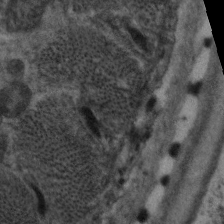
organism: C. elegans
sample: Pharynx